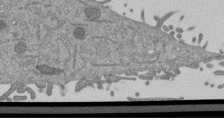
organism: Mouse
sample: ED-1 cell nuclei; centrioles